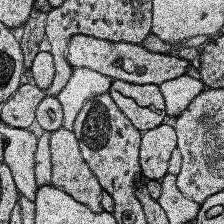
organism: Human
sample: Temporal Lobe